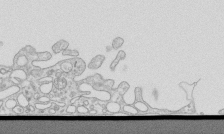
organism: Mouse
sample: Macrophages